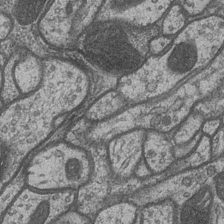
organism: Drosophila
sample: Optic medulla